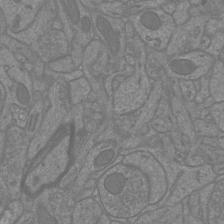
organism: Mouse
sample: Cortical neurons